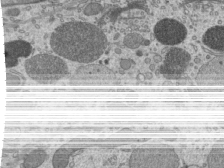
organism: Mouse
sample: Mouse epididymis efferent ductule cilia